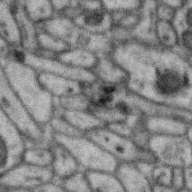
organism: Zebra finch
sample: Brain